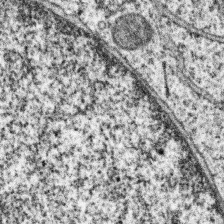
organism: Human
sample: HeLa cells